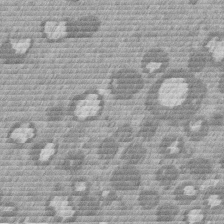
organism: Mouse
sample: Dividing mouse embryo 1 cell stage